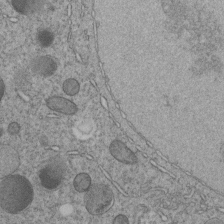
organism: C. elegans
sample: C. elegans embryo early stage